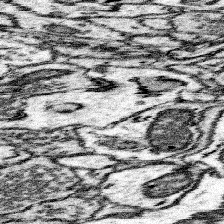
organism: Mouse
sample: Somatosensory cortex neuropil